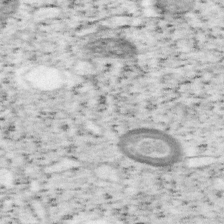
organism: Mouse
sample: OT-I killer T cells with ID8 ovarian cancer cells